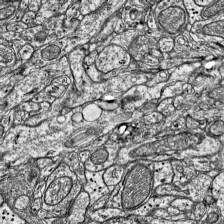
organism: Mouse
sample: Visual Cortex